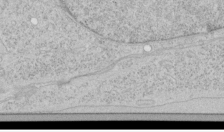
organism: Human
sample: Mitochondria in HCT116 cells